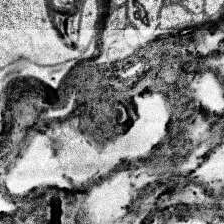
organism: Human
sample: Temporal Lobe